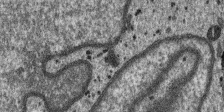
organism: Human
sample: Lung epithelial cells infected with SARS-CoV-2